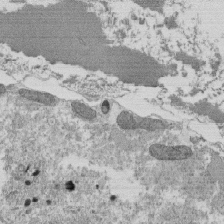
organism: Tetrahymena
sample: Cilia in tetrahymena